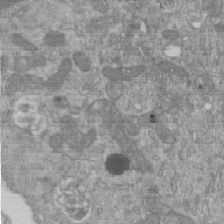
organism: Mouse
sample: ED-1 cell nuclei; centrioles